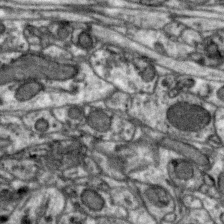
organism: Zebra finch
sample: Brain